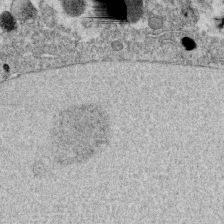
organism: C. elegans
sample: C. elegans oocyte; sperm cells